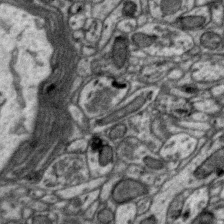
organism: Zebra finch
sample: Brain